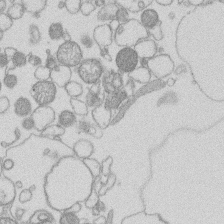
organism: Human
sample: Macrophage cells